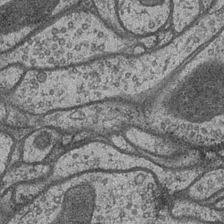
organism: Drosophila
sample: Optic medulla